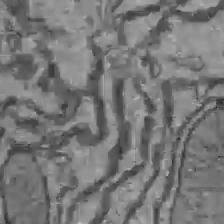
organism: C57BL Mouse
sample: Liver